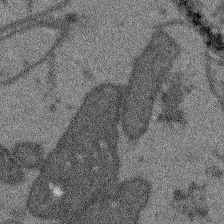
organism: Arabidopsis thaliana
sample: Root tip